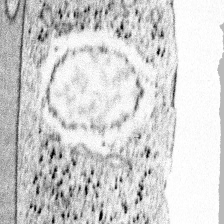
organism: Human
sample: HeLa cells